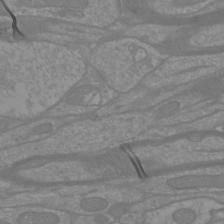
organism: Mouse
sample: Cortical neurons